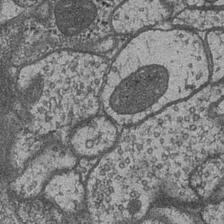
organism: Drosophila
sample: Optic medulla